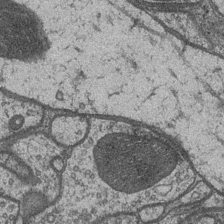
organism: Drosophila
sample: Optic medulla